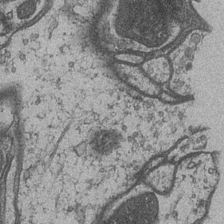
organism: Drosophila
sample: Optic medulla